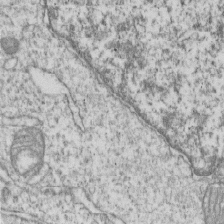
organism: Human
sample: MDA-MB-231 cells